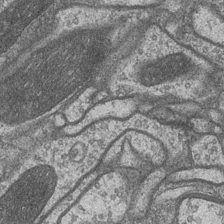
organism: Drosophila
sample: Optic medulla